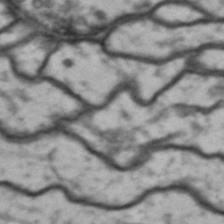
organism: Drosophila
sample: Brain